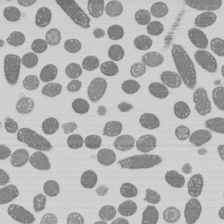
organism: E. coli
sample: Bacterial nucleoid